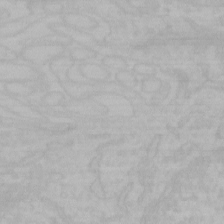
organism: Mouse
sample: Choroid plexus